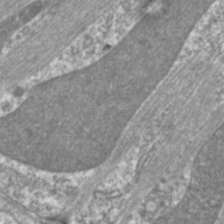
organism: C. elegans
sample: Pharynx